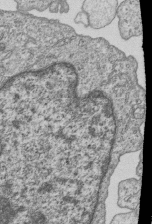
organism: Human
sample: MDA-MB-231 cells